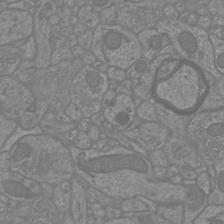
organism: Mouse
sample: Cortical neurons